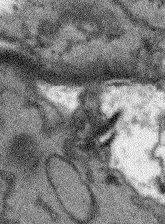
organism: Arabidopsis thaliana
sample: Root tip